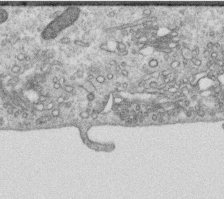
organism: Human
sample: Centriole in RPE cells